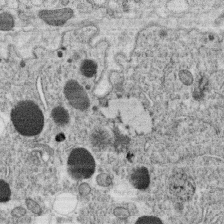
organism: C. elegans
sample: C. elegans oocyte; sperm cells